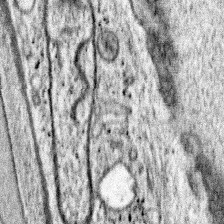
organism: Human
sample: HeLa cells